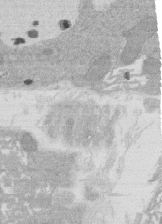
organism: Rat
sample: Salivary granule